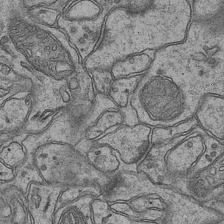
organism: Mouse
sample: CA1 Hippocampus